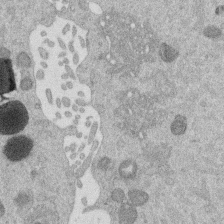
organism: Mouse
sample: Dividing mouse embryo 1 cell stage